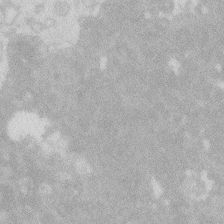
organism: Zebrafish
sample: Macrophage